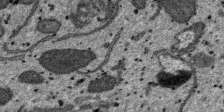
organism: Human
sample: Lung epithelial cells, uninfected (mock) control